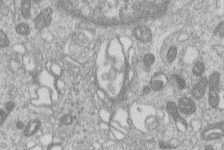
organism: Human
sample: Macrophage cells